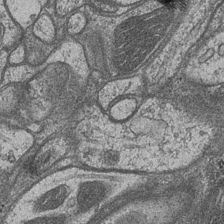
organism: Drosophila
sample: Optic medulla